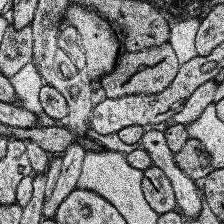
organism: Human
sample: Temporal Lobe